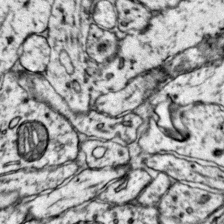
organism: Mouse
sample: Primary visual cortex